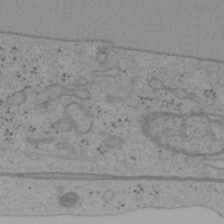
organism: Human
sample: HeLa cells